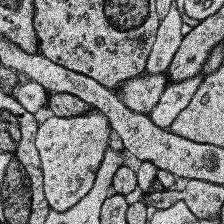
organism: Human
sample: Temporal Lobe